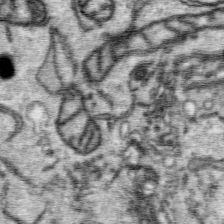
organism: Human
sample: HeLa cells